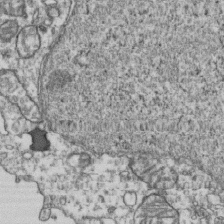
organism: Human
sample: Activated Jurkat CD4+ T cells